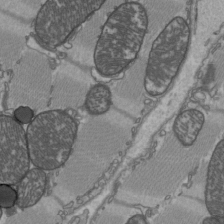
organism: C57BL Mouse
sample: Heart